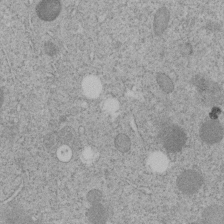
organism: C. elegans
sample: C. elegans embryo early stage